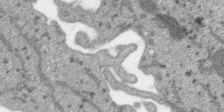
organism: Human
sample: Lung epithelial cells infected with SARS-CoV-2